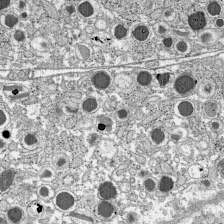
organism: C57BL Mouse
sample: Pancreatic islet